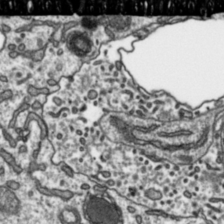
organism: Toxoplasma gondii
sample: Parasites in a vacuole inside a host cell